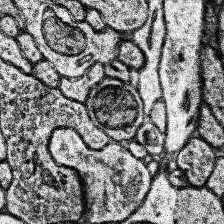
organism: Human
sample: Temporal Lobe